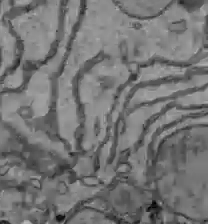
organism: C57BL Mouse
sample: Liver